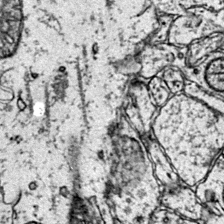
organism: Mouse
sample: Primary visual cortex